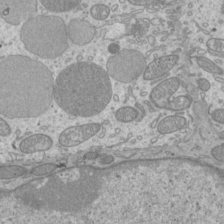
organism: Mouse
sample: Cilia; mouse epididymis